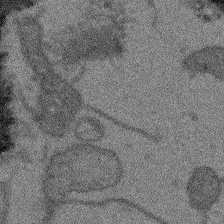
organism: Arabidopsis thaliana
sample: Root tip